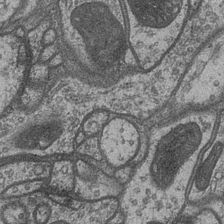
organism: Drosophila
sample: Optic medulla